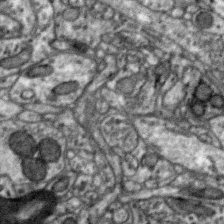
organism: Zebra finch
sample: Brain